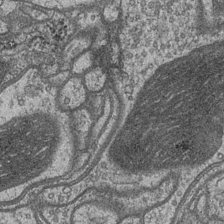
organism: Drosophila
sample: Optic medulla